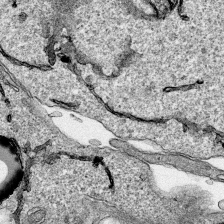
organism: Human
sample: Mitochondria in HCT116 cells